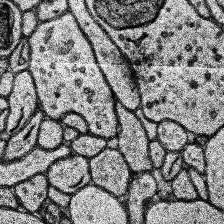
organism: Human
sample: Temporal Lobe